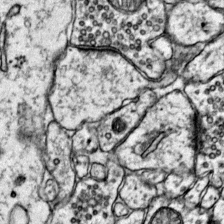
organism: Mouse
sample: Primary visual cortex